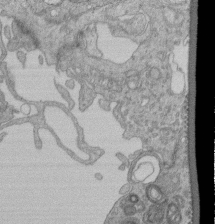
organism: Human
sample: Retinal organoid Rod and Cone cells